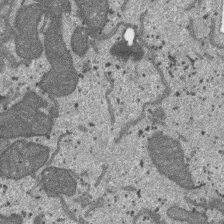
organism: Human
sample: Lung epithelial cells infected with SARS-CoV-2